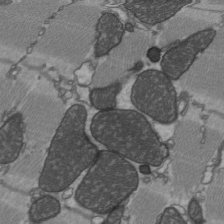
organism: C57BL Mouse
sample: Heart